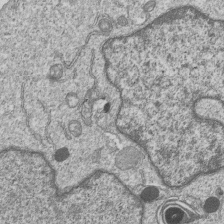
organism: Human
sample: MDA-MB-231 cells